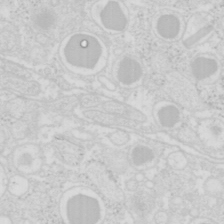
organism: Mouse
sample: Pancreas